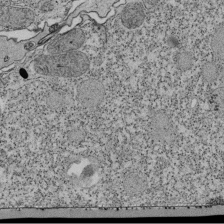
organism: Tetrahymena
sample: Cilia in tetrahymena